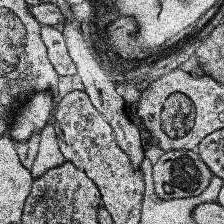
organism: Human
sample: Temporal Lobe